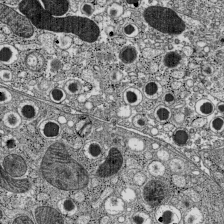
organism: C57BL Mouse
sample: Pancreatic islet